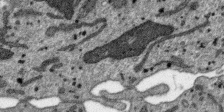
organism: Human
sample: Lung epithelial cells, uninfected (mock) control